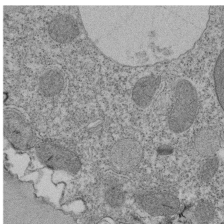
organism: Tetrahymena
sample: Cilia in tetrahymena